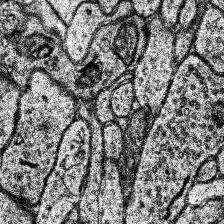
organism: Human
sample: Temporal Lobe